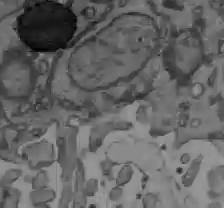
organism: C57BL Mouse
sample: Liver